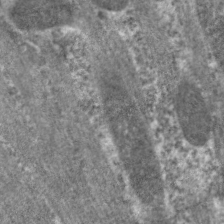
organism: C. elegans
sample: Pharynx